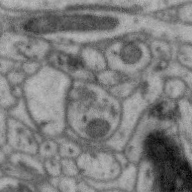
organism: Zebra finch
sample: Brain